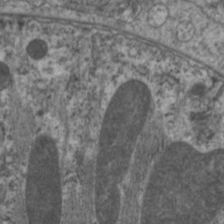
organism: C. elegans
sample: Pharynx